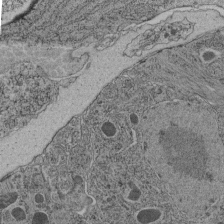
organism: C. elegans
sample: C. elegans pharynx